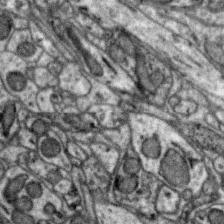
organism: Zebra finch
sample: Brain